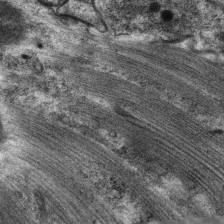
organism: C. elegans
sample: Pharynx